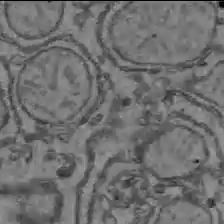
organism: C57BL Mouse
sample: Liver